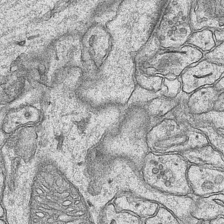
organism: Mouse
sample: CA1 Hippocampus